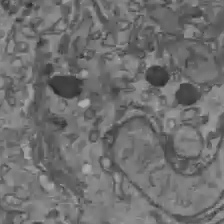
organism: C57BL Mouse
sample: Liver